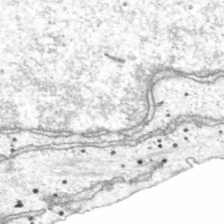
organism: Human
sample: HeLa cells